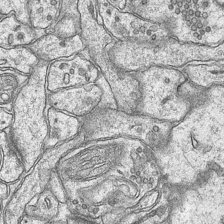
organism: Mouse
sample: CA1 Hippocampus